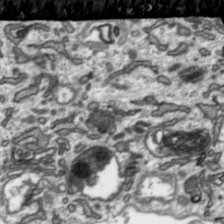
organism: Toxoplasma gondii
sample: Parasites in a vacuole inside a host cell